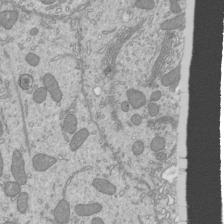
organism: Mouse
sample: Cilia; mouse epididymis